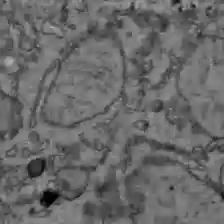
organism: C57BL Mouse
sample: Liver